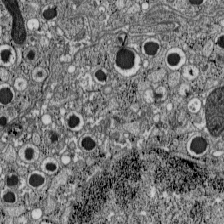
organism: C57BL Mouse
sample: Pancreatic islet